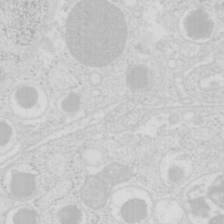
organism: Mouse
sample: Pancreas